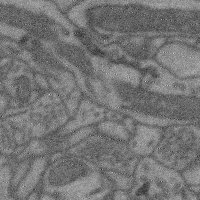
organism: Mouse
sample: Cerebral cortex